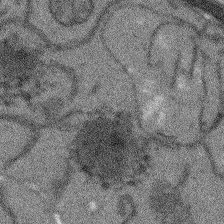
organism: Arabidopsis thaliana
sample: Root tip